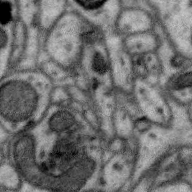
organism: Zebra finch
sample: Brain